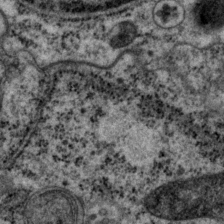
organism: P. pacificus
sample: Pharynx